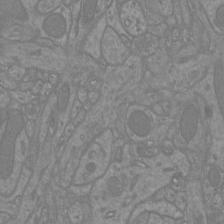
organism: Mouse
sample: Cortical neurons